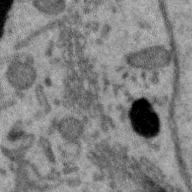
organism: Zebra finch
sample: Brain